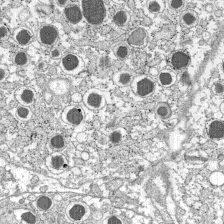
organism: C57BL Mouse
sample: Pancreatic islet